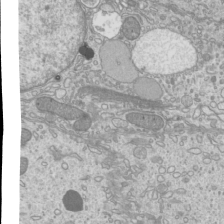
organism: Mouse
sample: Cilia; mouse epididymis